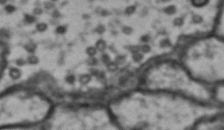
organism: Drosophila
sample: Brain